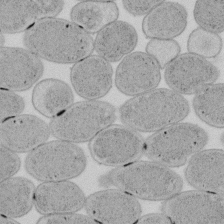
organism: E. coli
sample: Bacterial nucleoid